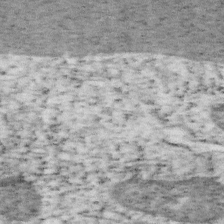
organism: Mouse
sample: OT-I killer T cells with ID8 ovarian cancer cells